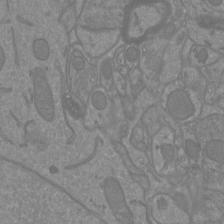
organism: Mouse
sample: Cortical neurons